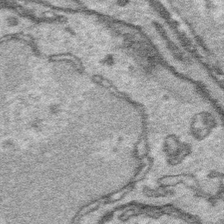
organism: Platynereis dumerilii